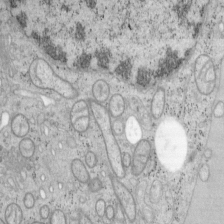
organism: Mouse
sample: OT-I killer T cells with ID8 ovarian cancer cells